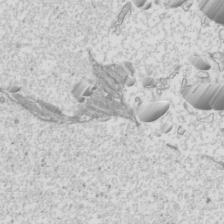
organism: Mouse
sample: Cilia; mouse epididymis